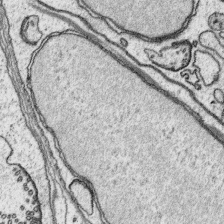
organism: Platynereis dumerilii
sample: Parapodia